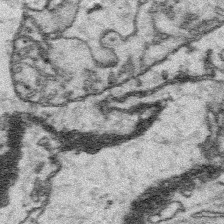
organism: Platynereis dumerilii